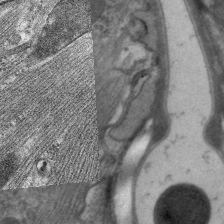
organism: C. elegans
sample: Pharynx